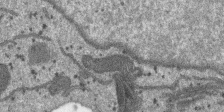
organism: Human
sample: Lung epithelial cells infected with SARS-CoV-2